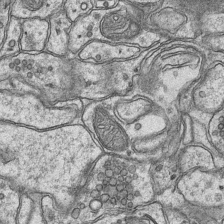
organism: Mouse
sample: CA1 Hippocampus